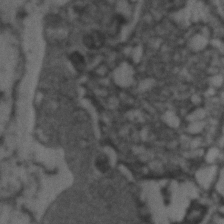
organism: Zebrafish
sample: Zebrafish embryo